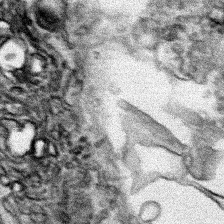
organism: Human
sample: Mitochondria in HCT116 cells